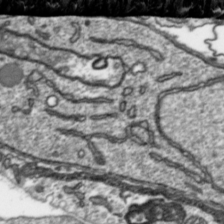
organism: Toxoplasma gondii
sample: Parasites in a vacuole inside a host cell